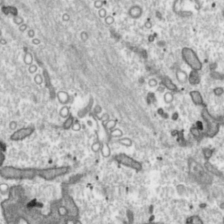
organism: Toxoplasma gondii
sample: Parasites in a vacuole inside a host cell